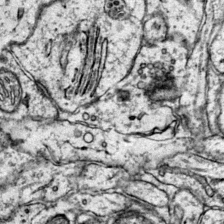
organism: Mouse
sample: Primary visual cortex